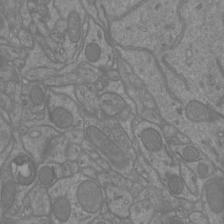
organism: Mouse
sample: Cortical neurons